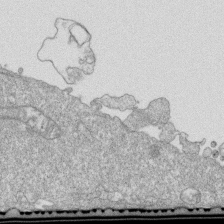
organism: Human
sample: HeLa cell HIV synapse